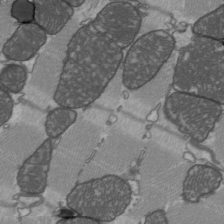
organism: C57BL Mouse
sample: Heart